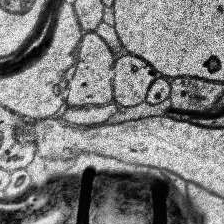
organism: Human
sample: Temporal Lobe